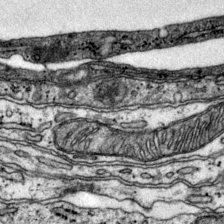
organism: Mouse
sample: Primary visual cortex